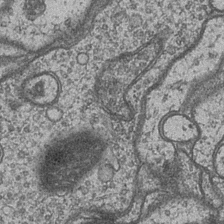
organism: Drosophila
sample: Optic medulla